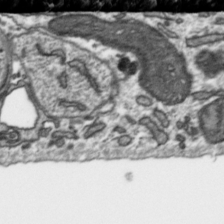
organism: Toxoplasma gondii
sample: Parasites in a vacuole inside a host cell